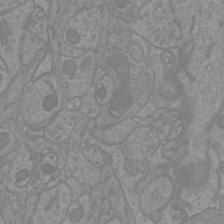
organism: Mouse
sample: Cortical neurons